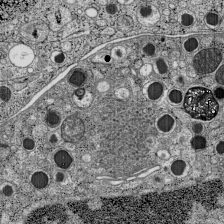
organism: C57BL Mouse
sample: Pancreatic islet